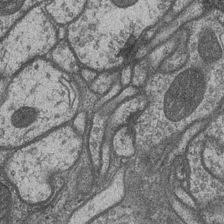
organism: Drosophila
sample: Optic medulla